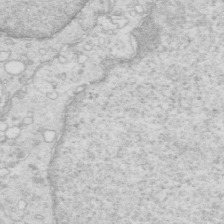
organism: Mouse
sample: Multiciliated cells